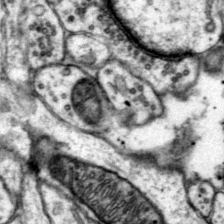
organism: Mouse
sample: Primary visual cortex